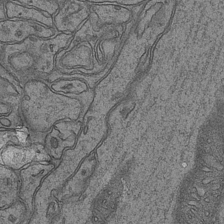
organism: Mouse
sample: CA1 Hippocampus